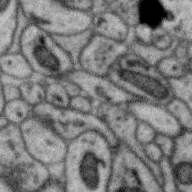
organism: Zebra finch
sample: Brain